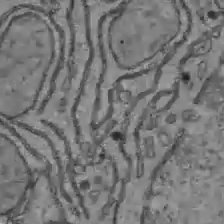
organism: C57BL Mouse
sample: Liver